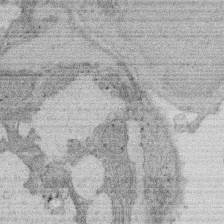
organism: Rat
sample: Salivary granule